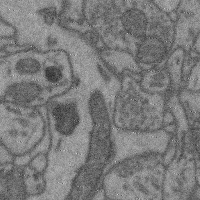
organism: Mouse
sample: Cerebral cortex